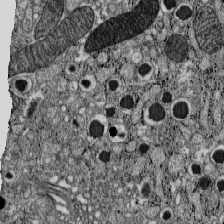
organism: C57BL Mouse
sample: Pancreatic islet